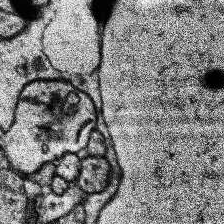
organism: Human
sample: Temporal Lobe